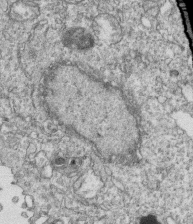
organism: Human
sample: HeLa cell HIV synapse